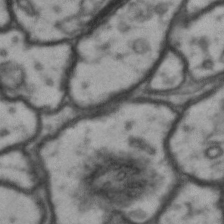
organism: Drosophila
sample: Brain